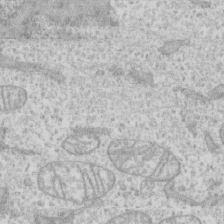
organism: Human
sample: CRL-1474